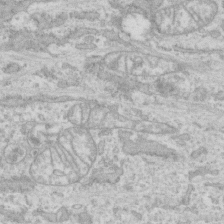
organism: Human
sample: CRL-1474